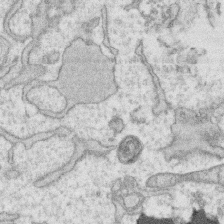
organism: Human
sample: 1205lu cells